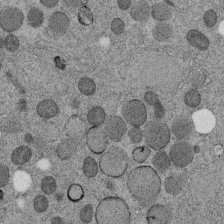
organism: C. elegans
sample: C. elegans embryo early stage